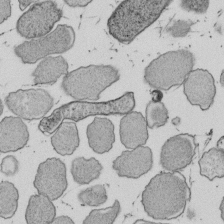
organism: E. coli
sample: Bacterial nucleoid